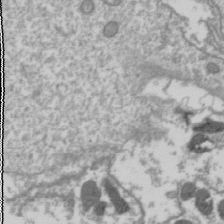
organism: Drosophila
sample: Cell division; meiosis; drosophila spermatocytes